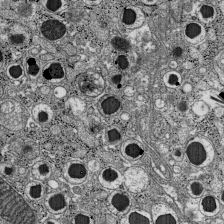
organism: C57BL Mouse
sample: Pancreatic islet